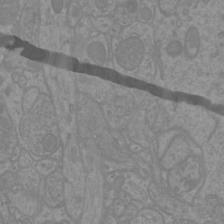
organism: Mouse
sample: Cortical neurons